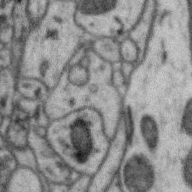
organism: Zebra finch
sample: Brain